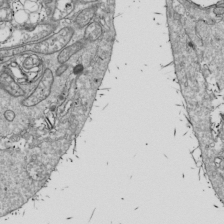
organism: Drosophila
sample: Cell division; meiosis; drosophila spermatocytes